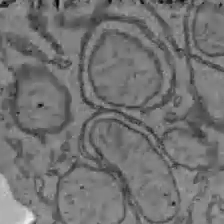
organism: C57BL Mouse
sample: Liver